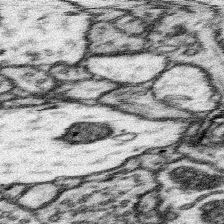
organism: Mouse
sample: Somatosensory cortex neuropil